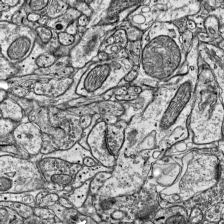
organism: Mouse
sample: Visual Cortex